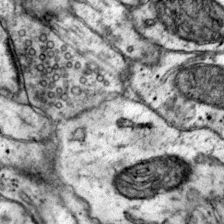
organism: Mouse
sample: Primary visual cortex